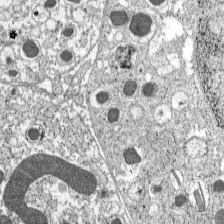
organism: C57BL Mouse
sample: Pancreatic islet